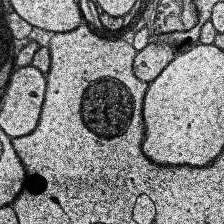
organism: Human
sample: Temporal Lobe